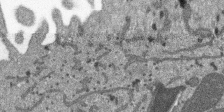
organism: Human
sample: Lung epithelial cells infected with SARS-CoV-2